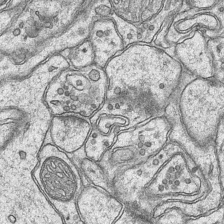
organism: Mouse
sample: CA1 Hippocampus